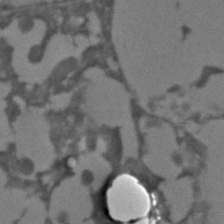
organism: C. elegans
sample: C. elegans embryo